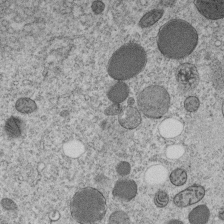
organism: C. elegans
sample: C. elegans embryo early stage